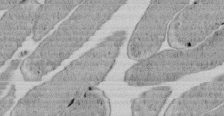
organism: E. coli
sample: Bacterial nucleoid